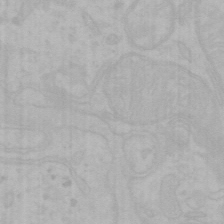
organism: Mouse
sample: Choroid plexus